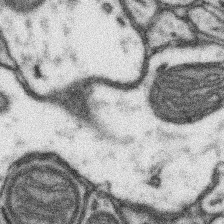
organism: Mouse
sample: Somatosensory cortex neuropil